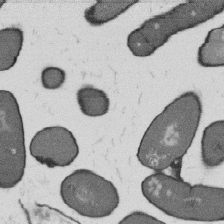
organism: B. subtilis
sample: Bacterial spore